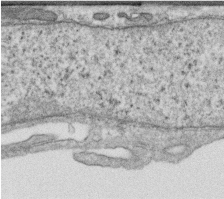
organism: Human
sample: Centriole in RPE cells